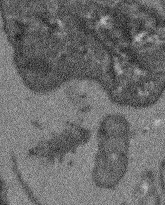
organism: Arabidopsis thaliana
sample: Root tip